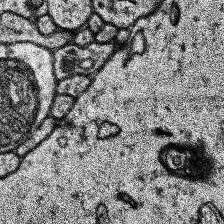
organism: Human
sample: Temporal Lobe